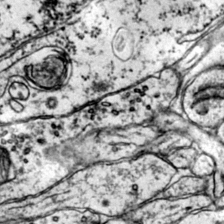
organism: Mouse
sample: Primary visual cortex